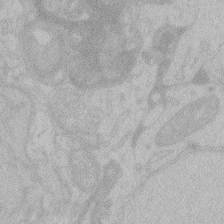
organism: Zebrafish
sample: Macrophage infected with Toxoplasma gondii